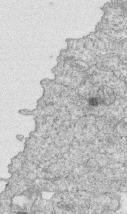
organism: Human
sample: HeLa cell HIV synapse